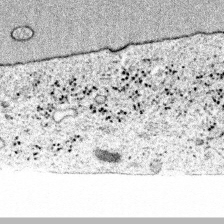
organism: Human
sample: HeLa cells